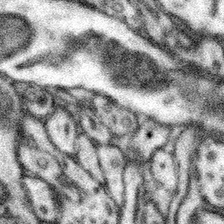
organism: Mouse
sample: Somatosensory cortex neuropil